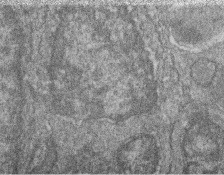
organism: Zebrafish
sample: Cilia; retinal pigment epithelium